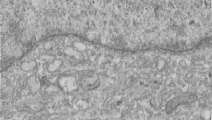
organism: Human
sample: Centriole in RPE cells